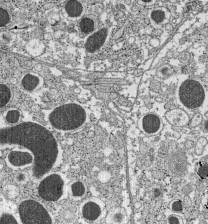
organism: C57BL Mouse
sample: Pancreatic islet